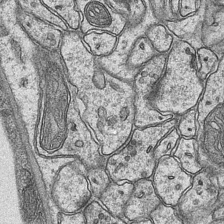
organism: Mouse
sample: CA1 Hippocampus